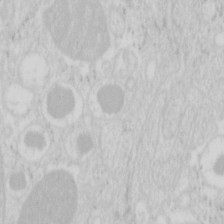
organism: Mouse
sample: Pancreas